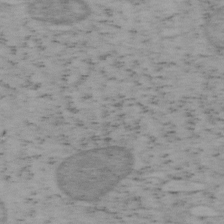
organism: Mouse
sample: OT-I killer T cells with ID8 ovarian cancer cells